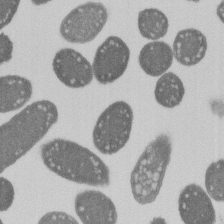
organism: E. coli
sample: Bacterial nucleoid